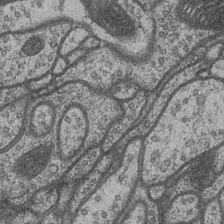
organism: Drosophila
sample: Optic medulla